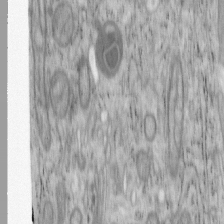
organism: Human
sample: HeLa cells